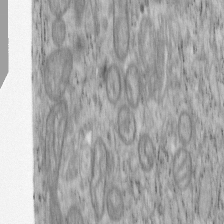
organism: Human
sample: HeLa cells